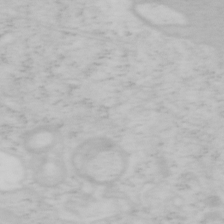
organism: Mouse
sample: OT-I killer T cells with ID8 ovarian cancer cells